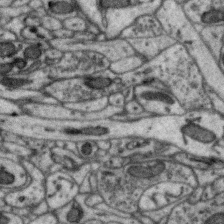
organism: Zebra finch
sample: Brain